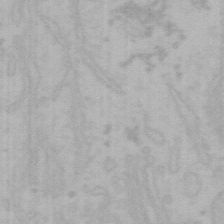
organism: Mouse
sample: Choroid plexus